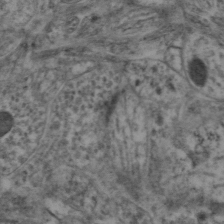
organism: Mouse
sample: Neocortex